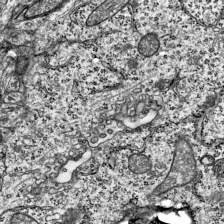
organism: Mouse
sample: Visual Cortex